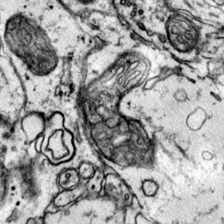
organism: Mouse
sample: Primary visual cortex